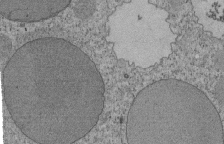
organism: Tetrahymena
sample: Cilia in tetrahymena